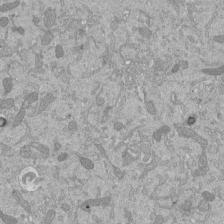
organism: Mouse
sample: ED-1 cell nuclei; centrioles